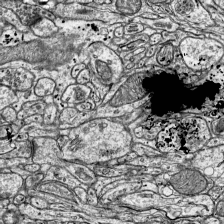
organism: Mouse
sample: Visual Cortex